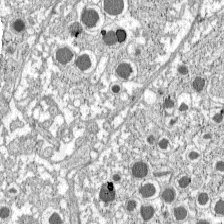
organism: C57BL Mouse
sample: Pancreatic islet